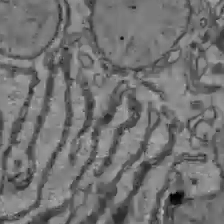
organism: C57BL Mouse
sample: Liver